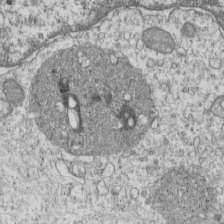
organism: Human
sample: MDA-MB-231 cells